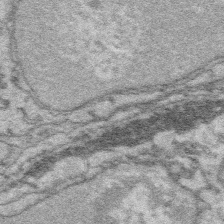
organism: Platynereis dumerilii